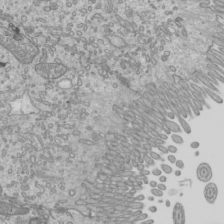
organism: Mouse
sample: Cilia; mouse epididymis